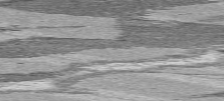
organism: C57BL Mouse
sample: Heart